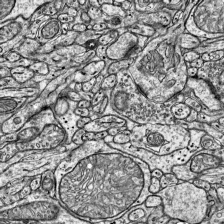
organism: Mouse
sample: Visual Cortex